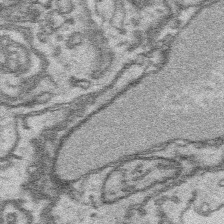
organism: Platynereis dumerilii